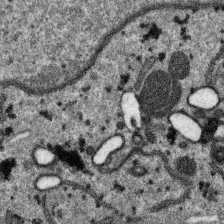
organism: Human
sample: Lung epithelial cells infected with SARS-CoV-2